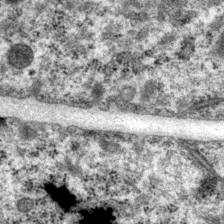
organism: P. pacificus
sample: Pharynx